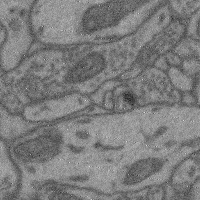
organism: Mouse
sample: Cerebral cortex